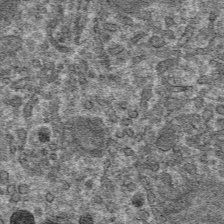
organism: Mouse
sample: Mouse hepatocytes